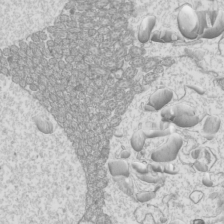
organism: Mouse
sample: Cilia; mouse epididymis